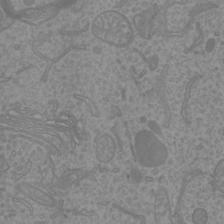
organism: Mouse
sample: Cortical neurons